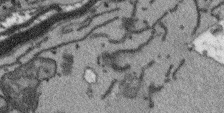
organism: Arabidopsis thaliana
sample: Root tip